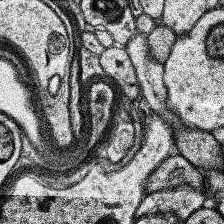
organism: Human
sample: Temporal Lobe